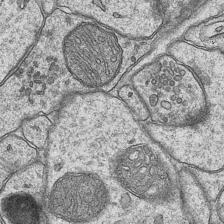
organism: Mouse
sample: CA1 Hippocampus